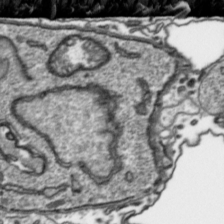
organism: Toxoplasma gondii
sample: Parasites in a vacuole inside a host cell